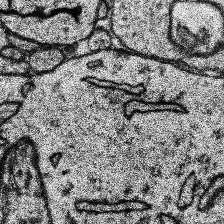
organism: Human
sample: Temporal Lobe